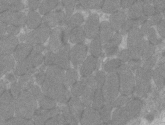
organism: C57BL Mouse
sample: Tibialis anterior muscle cell